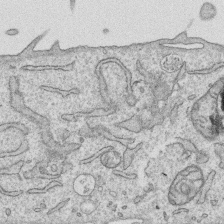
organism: Human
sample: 1205lu cells